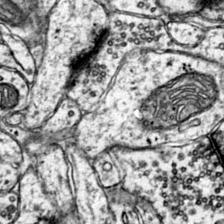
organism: Mouse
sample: Primary visual cortex